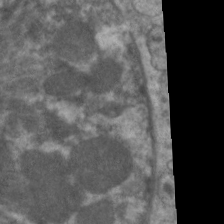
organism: C. elegans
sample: Pharynx